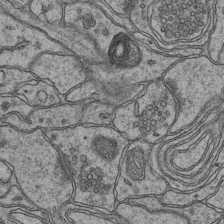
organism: Mouse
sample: CA1 Hippocampus